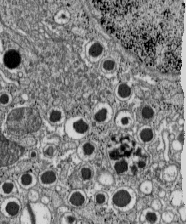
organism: C57BL Mouse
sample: Pancreatic islet